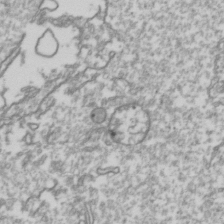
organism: Drosophila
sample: Cell division; meiosis; drosophila spermatocytes